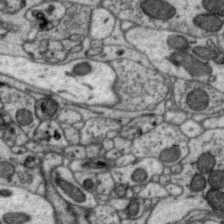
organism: Zebra finch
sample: Brain